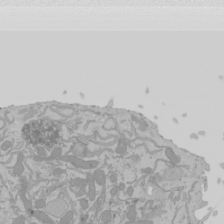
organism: Mouse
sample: Cancer cell death in ED-1 cells